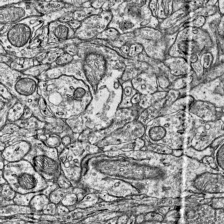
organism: Mouse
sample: Visual Cortex